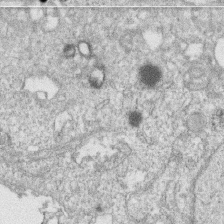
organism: Human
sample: HeLa cell HIV synapse